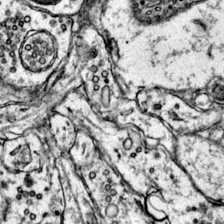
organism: Mouse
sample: Primary visual cortex